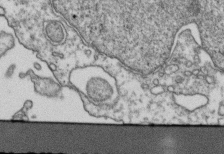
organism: Human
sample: Activated Jurkat CD4+ T cells